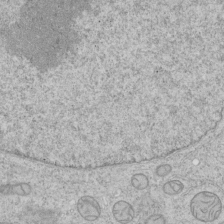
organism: Human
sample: Mitochondria in HCT116 cells